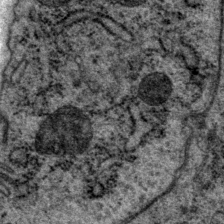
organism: P. pacificus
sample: Pharynx